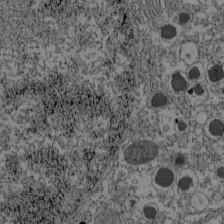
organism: C57BL Mouse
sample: Pancreatic islet